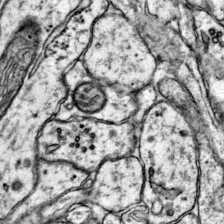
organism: Mouse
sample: Primary visual cortex